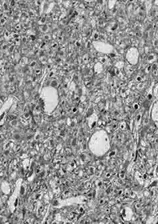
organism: Drosophila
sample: Optic lobe